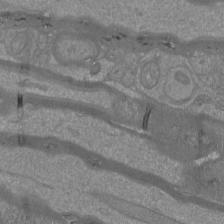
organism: Mouse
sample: Cortical neurons